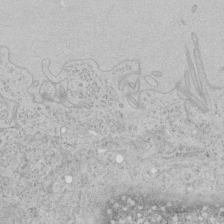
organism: Human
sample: Mitochondria in HCT116 cells